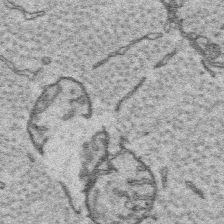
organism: Platynereis dumerilii